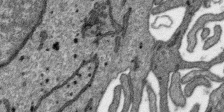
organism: Human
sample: Lung epithelial cells, uninfected (mock) control